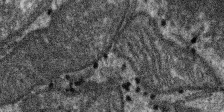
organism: Human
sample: Lung epithelial cells infected with SARS-CoV-2